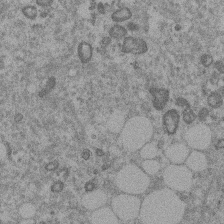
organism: Mouse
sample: Dividing mouse embryo 1 cell stage